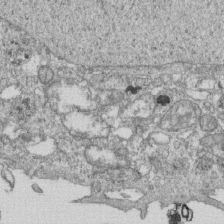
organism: Human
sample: HeLa cell HIV synapse